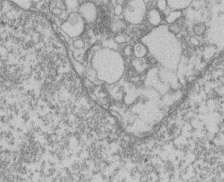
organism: Mouse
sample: T cell stromal cell synapse